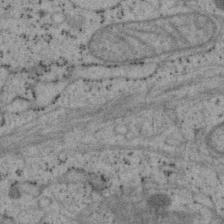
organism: Human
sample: HeLa cells